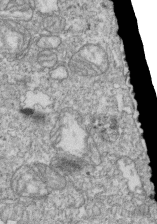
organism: Human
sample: HeLa cell HIV synapse